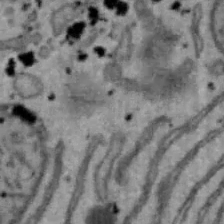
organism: Mouse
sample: Liver